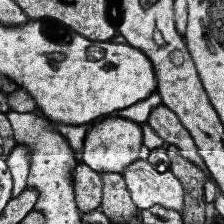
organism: Human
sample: Temporal Lobe